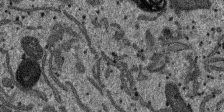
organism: Human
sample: Lung epithelial cells infected with SARS-CoV-2